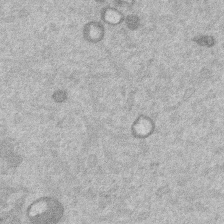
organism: Mouse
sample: Dividing mouse embryo 1 cell stage